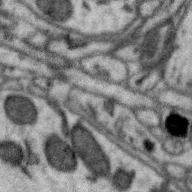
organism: Zebra finch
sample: Brain